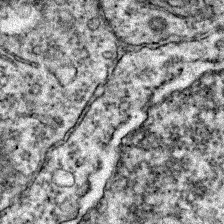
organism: Zebrafish